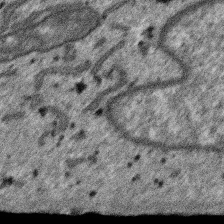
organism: Human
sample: Lung epithelial cells infected with SARS-CoV-2